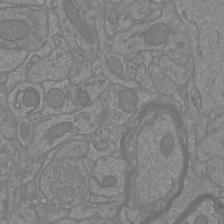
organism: Mouse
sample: Cortical neurons